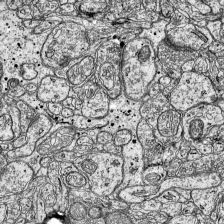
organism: Mouse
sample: Visual Cortex